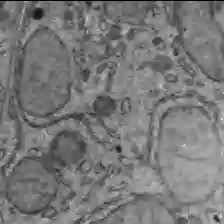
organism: C57BL Mouse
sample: Liver